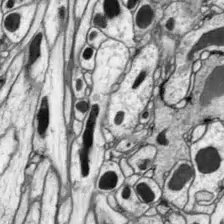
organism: Drosophila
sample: Optic lobe